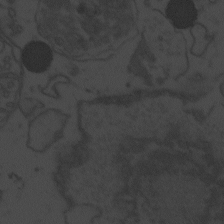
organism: Zebrafish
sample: Macrophage infected with Toxoplasma gondii